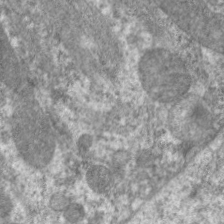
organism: C. elegans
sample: Pharynx